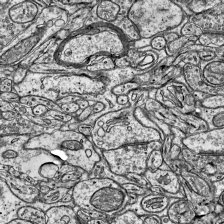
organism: Mouse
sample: Visual Cortex